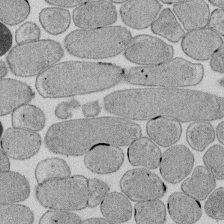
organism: E. coli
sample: Bacterial nucleoid